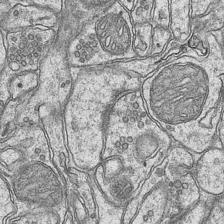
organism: Mouse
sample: CA1 Hippocampus